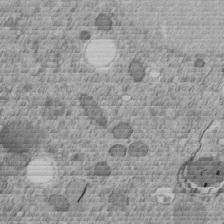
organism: C. elegans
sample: C. elegans embryo early stage